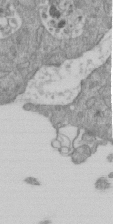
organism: Mouse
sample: ED-1 cell nuclei; centrioles